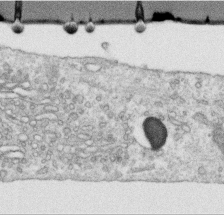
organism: Human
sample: Centriole in RPE cells